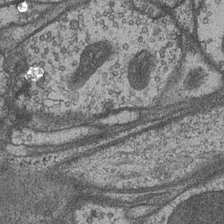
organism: Drosophila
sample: Optic medulla